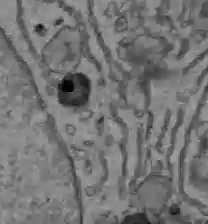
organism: C57BL Mouse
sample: Liver